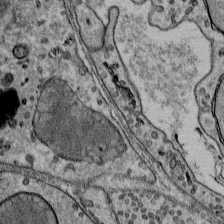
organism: Mouse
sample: Mouse Salivary gland